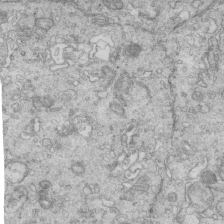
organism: Mouse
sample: Multiciliated cells